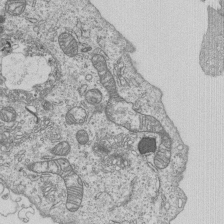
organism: Human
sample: MDA-MB-231 cells